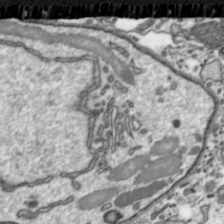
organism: Toxoplasma gondii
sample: Parasites in a vacuole inside a host cell